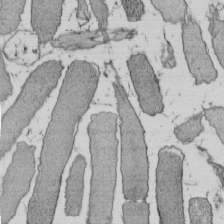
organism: E. coli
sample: Bacterial nucleoid